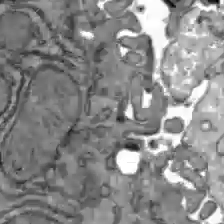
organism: C57BL Mouse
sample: Liver